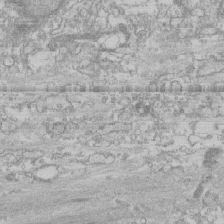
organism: Human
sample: CRL-1474